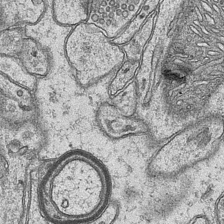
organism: Mouse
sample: CA1 Hippocampus